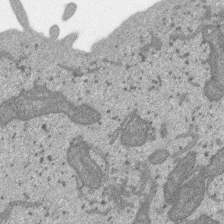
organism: Human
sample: Lung epithelial cells infected with SARS-CoV-2